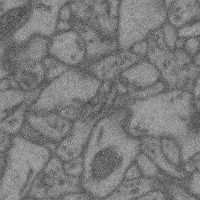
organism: Mouse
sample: Cerebral cortex